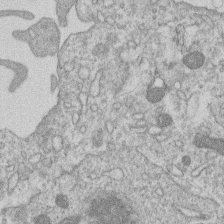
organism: Human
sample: Macrophage cells